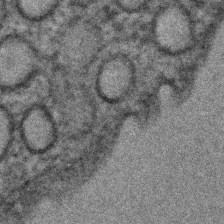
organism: C. elegans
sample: C. elegans embryo